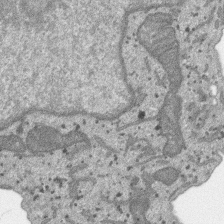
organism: Human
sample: Lung epithelial cells infected with SARS-CoV-2